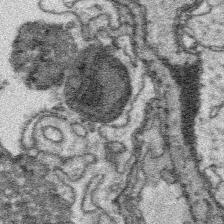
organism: Platynereis dumerilii